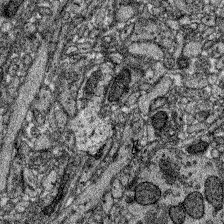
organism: Zebrafish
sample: Larval olfactory bulb